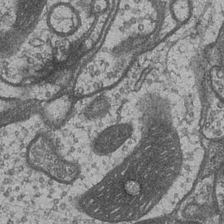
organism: Drosophila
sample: Optic medulla